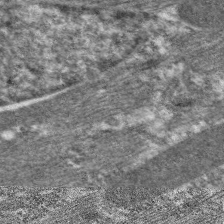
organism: C. elegans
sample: Pharynx